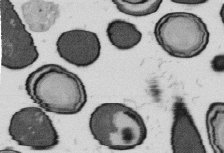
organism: B. subtilis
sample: Bacterial spore